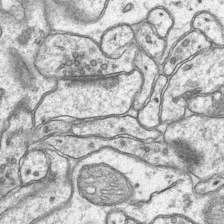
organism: Mouse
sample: CA1 Hippocampus